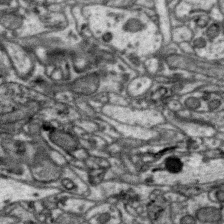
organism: Zebra finch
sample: Brain